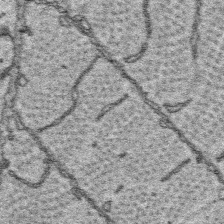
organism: Platynereis dumerilii